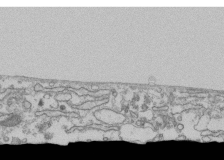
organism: Human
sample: Fibroblast cells